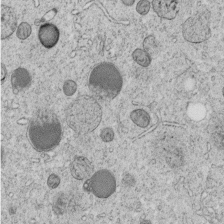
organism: C. elegans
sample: C. elegans embryo early stage